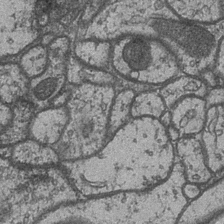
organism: Drosophila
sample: Optic medulla